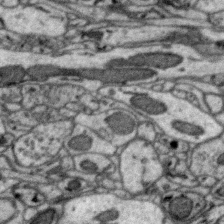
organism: Zebra finch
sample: Brain